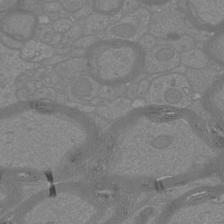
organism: Mouse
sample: Cortical neurons